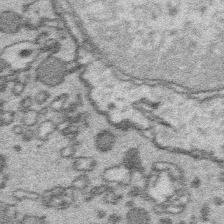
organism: Platynereis dumerilii